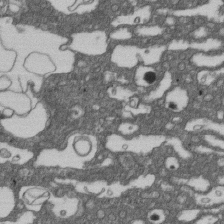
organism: Drosophila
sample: Nephrocyte